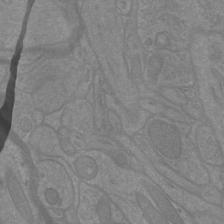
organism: Mouse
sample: Cortical neurons